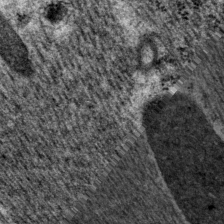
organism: P. pacificus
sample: Pharynx